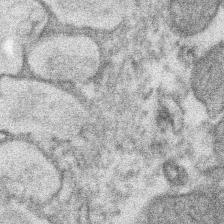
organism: Xenopus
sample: Cilia; centrioles in frog embryo cells